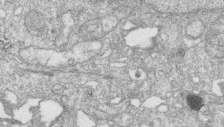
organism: Human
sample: HeLa cell HIV synapse